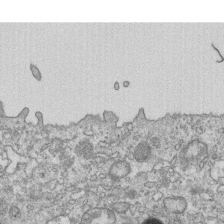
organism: Human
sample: HeLa cell HIV synapse